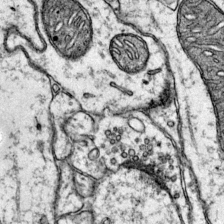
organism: Mouse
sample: Primary visual cortex